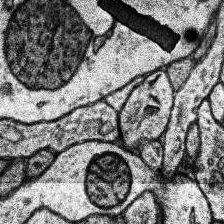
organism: Human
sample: Temporal Lobe